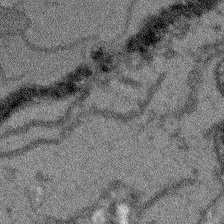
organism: Arabidopsis thaliana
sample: Root tip